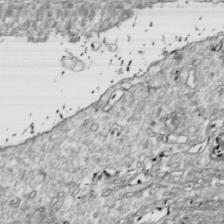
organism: Drosophila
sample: Cell division; meiosis; drosophila spermatocytes